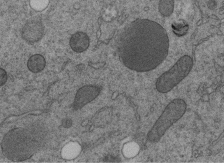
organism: C. elegans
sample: C. elegans embryo early stage